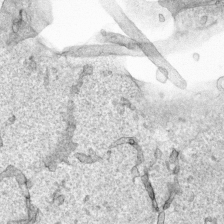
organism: Human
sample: Mitochondria in HCT116 cells